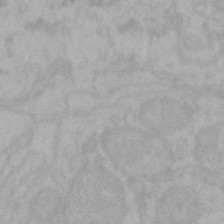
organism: Mouse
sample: Choroid plexus